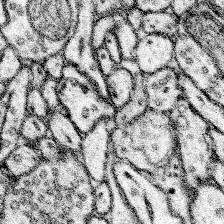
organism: Mouse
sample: Somatosensory cortex neuropil